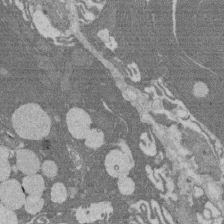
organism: Rat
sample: Salivary granule